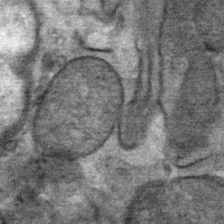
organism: Mouse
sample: Mouse Salivary gland